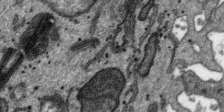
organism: Human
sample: Lung epithelial cells, uninfected (mock) control